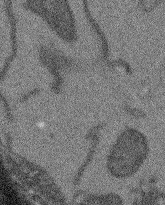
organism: Arabidopsis thaliana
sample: Root tip